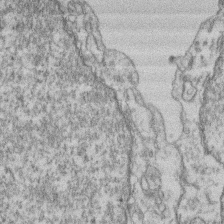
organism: Mouse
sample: T cell stromal cell synapse